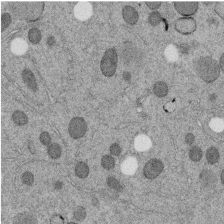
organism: C. elegans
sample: C. elegans embryo early stage